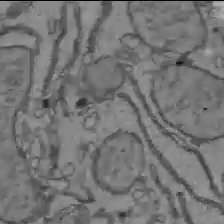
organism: C57BL Mouse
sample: Liver